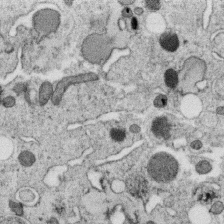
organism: C. elegans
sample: C. elegans oocyte; sperm cells